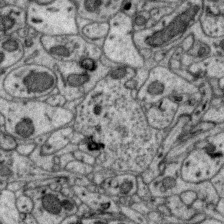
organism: Zebra finch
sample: Brain